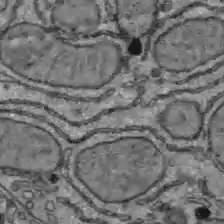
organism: C57BL Mouse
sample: Liver